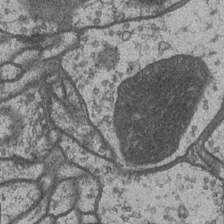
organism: Drosophila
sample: Optic medulla